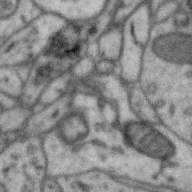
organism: Zebra finch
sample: Brain